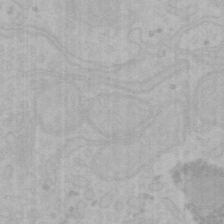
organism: Mouse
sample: Choroid plexus